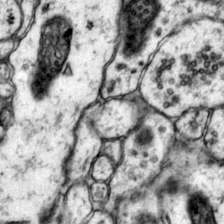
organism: Mouse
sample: Primary visual cortex